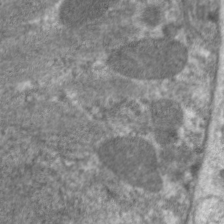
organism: C. elegans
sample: Pharynx